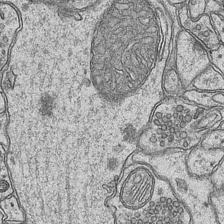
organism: Mouse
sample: CA1 Hippocampus